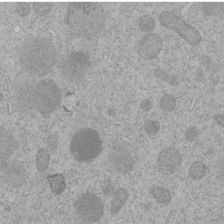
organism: C. elegans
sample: C. elegans embryo early stage